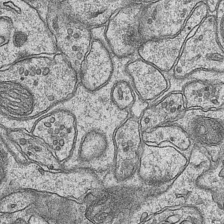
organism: Mouse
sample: CA1 Hippocampus